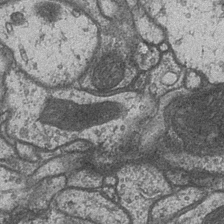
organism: Drosophila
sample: Optic medulla